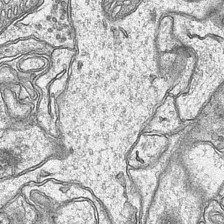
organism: Mouse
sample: CA1 Hippocampus